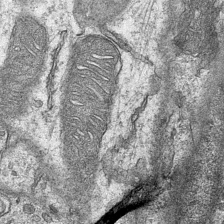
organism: Mouse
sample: CA1 Hippocampus